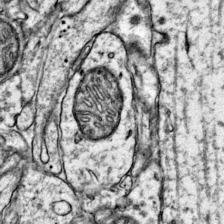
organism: Mouse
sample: Primary visual cortex